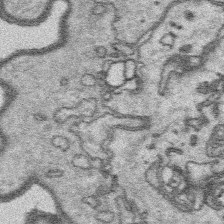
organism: Platynereis dumerilii